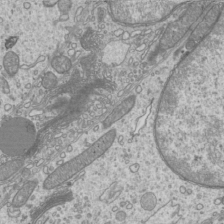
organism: Mouse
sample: Cilia; mouse epididymis